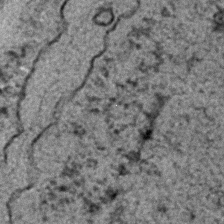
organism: C. elegans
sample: C. elegans embryo